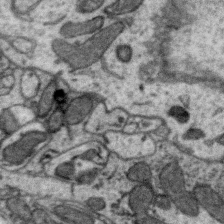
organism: Zebra finch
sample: Brain